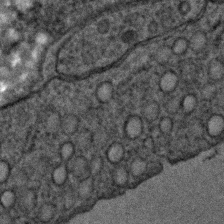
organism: C. elegans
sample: C. elegans embryo